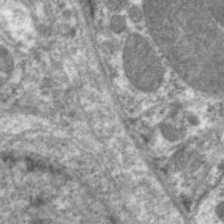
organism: C. elegans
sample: Pharynx